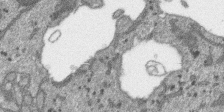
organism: Human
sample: Lung epithelial cells infected with SARS-CoV-2